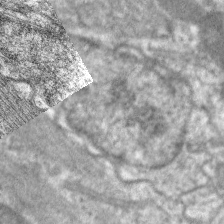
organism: C. elegans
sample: Pharynx